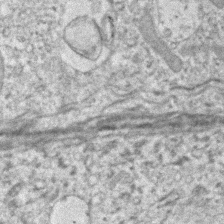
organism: Human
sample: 1205lu cells